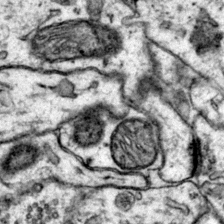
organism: Mouse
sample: Primary visual cortex